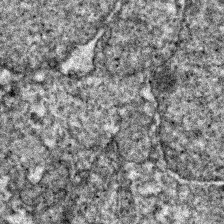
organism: Zebrafish